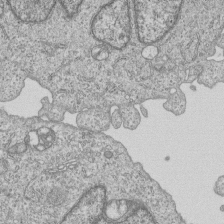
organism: Human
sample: MDA-MB-231 cells